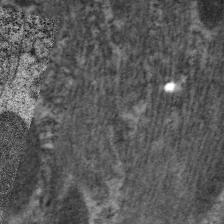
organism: C. elegans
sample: Pharynx